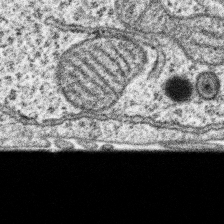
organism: Human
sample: HeLa cells